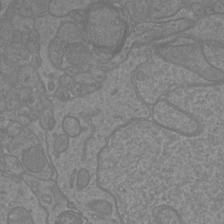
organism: Mouse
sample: Cortical neurons